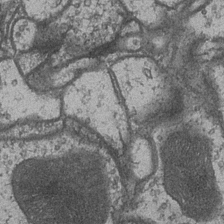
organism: Drosophila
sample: Optic medulla